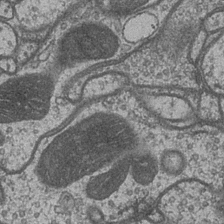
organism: Drosophila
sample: Optic medulla